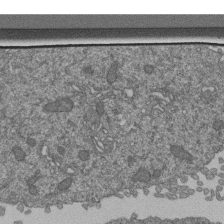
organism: Human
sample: Retinal organoid Rod and Cone cells